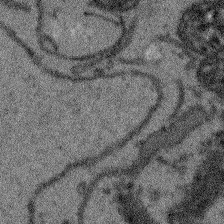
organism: Arabidopsis thaliana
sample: Root tip